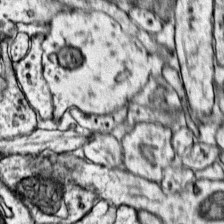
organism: Mouse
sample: Primary visual cortex